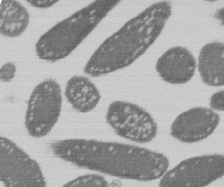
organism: E. coli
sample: Bacterial nucleoid